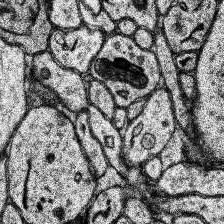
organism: Human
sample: Temporal Lobe